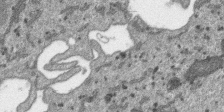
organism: Human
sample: Lung epithelial cells infected with SARS-CoV-2